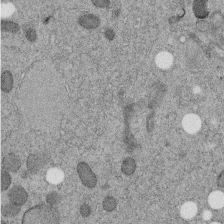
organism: C. elegans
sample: C. elegans embryo early stage